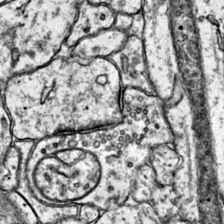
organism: Mouse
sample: Primary visual cortex